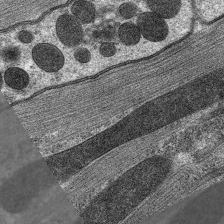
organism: C. elegans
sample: Pharynx